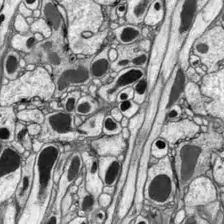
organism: Drosophila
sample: Optic lobe